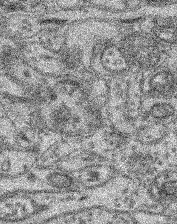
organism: Mouse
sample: Retina